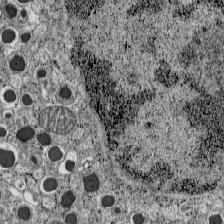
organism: C57BL Mouse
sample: Pancreatic islet